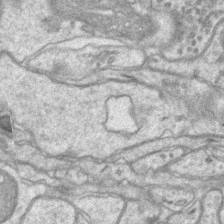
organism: Mouse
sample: CA1 Hippocampus